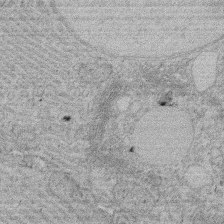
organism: Rat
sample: Salivary granule